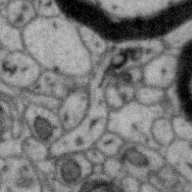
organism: Zebra finch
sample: Brain